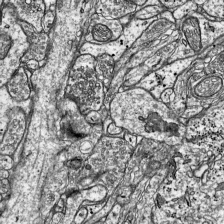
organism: Mouse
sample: Visual Cortex